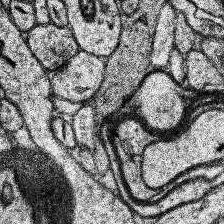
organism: Human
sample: Temporal Lobe